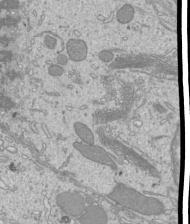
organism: Mouse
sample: Cilia; mouse epididymis